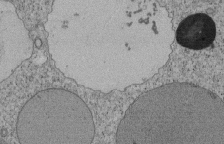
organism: Tetrahymena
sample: Cilia in tetrahymena